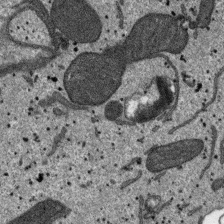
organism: Human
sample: Lung epithelial cells, uninfected (mock) control